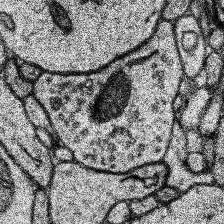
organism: Human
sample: Temporal Lobe